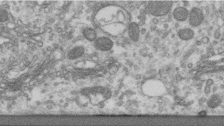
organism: Human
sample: Centriole in RPE cells